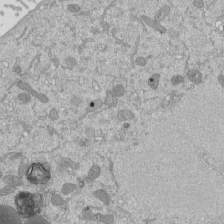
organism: Mouse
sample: ED-1 cell nuclei; centrioles